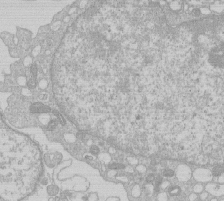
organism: Human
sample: Macrophage cells